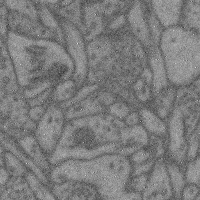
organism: Mouse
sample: Cerebral cortex